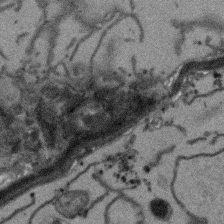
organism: Arabidopsis thaliana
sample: Root tip